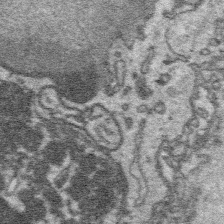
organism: Platynereis dumerilii